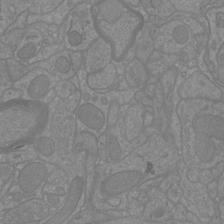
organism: Mouse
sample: Cortical neurons